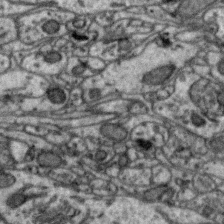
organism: Zebra finch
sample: Brain